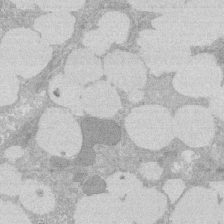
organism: Rat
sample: Salivary granule